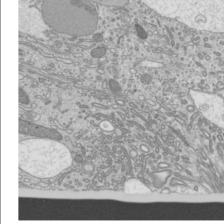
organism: Mouse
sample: Cilia; mouse epididymis